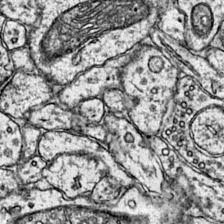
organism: Mouse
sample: Primary visual cortex